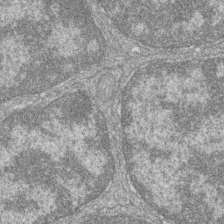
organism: Zebrafish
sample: Cilia; retinal pigment epithelium